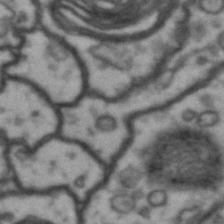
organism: Drosophila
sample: Brain